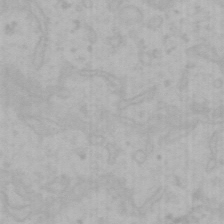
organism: Mouse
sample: Choroid plexus